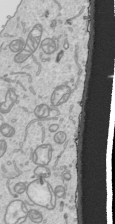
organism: Human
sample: Mitochondria in HCT116 cells